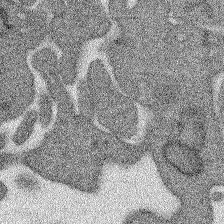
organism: Human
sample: HeLa cells